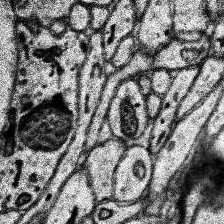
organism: Human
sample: Temporal Lobe